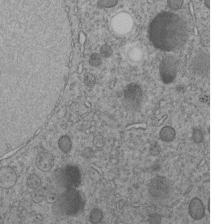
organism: C. elegans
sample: C. elegans embryo early stage